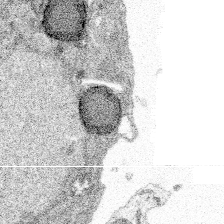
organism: Spongilla lacustris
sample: Multiple